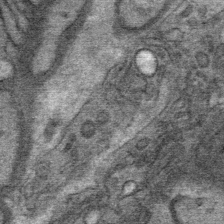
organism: Mouse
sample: Mouse Salivary gland